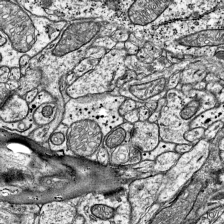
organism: Mouse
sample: Visual Cortex